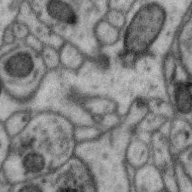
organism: Zebra finch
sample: Brain